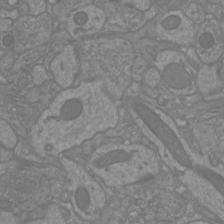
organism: Mouse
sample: Cortical neurons